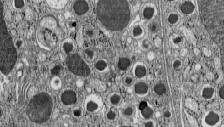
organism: C57BL Mouse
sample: Pancreatic islet